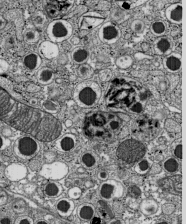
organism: C57BL Mouse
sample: Pancreatic islet